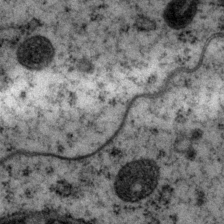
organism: P. pacificus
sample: Pharynx